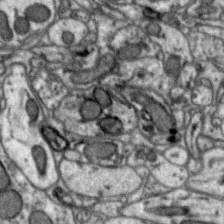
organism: Zebra finch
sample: Brain